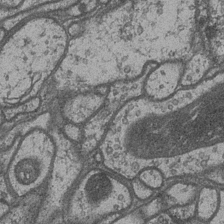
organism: Drosophila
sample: Optic medulla